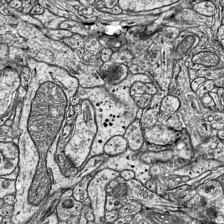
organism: Mouse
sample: Visual Cortex